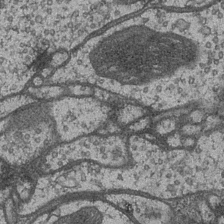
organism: Drosophila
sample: Optic medulla